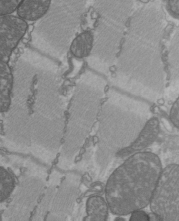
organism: C57BL Mouse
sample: Heart